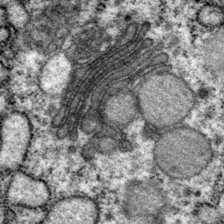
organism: P. pacificus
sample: Pharynx